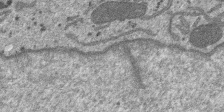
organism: Human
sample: Lung epithelial cells infected with SARS-CoV-2